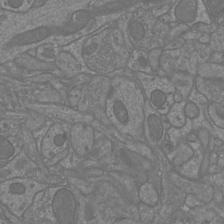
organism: Mouse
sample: Cortical neurons